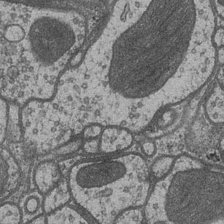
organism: Drosophila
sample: Optic medulla